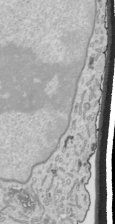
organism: Human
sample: Mitochondria in HCT116 cells